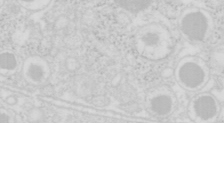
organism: Mouse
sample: Pancreas